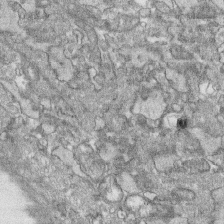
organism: Human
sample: CRL-1474